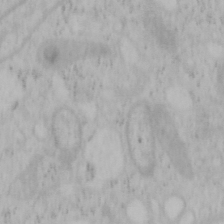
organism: Mouse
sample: OT-I killer T cells with ID8 ovarian cancer cells